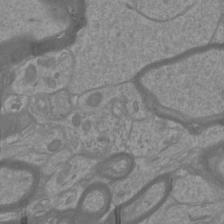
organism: Mouse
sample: Cortical neurons